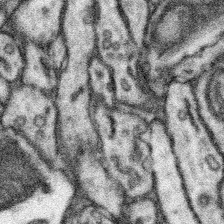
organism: Mouse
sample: Somatosensory cortex neuropil